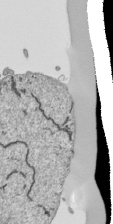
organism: Human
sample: Mitochondria in HCT116 cells